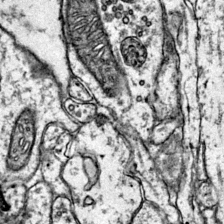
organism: Mouse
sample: Primary visual cortex